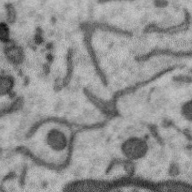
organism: Zebra finch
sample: Brain